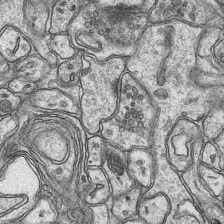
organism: Mouse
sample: CA1 Hippocampus